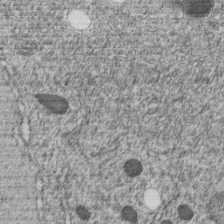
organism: C. elegans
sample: C. elegans embryo early stage